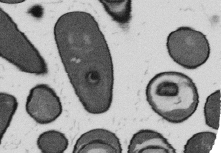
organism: B. subtilis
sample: Bacterial spore